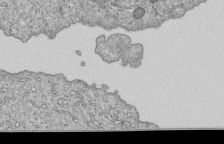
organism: Human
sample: MDA-MB-231 cells